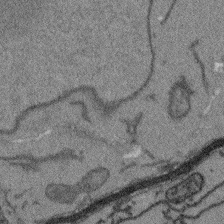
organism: Arabidopsis thaliana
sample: Root tip